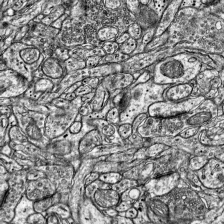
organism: Mouse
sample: Visual Cortex